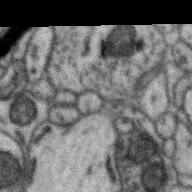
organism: Zebra finch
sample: Brain